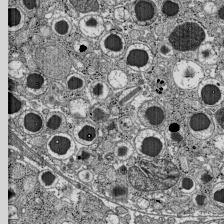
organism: C57BL Mouse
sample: Pancreatic islet